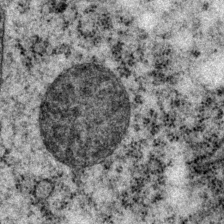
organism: P. pacificus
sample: Pharynx